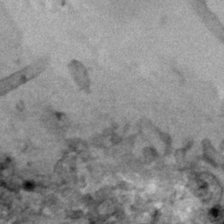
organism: Human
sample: Mitochondria in HCT116 cells